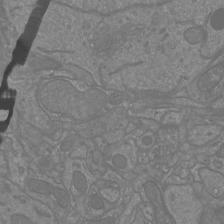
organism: Mouse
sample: Cortical neurons